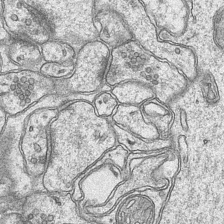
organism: Mouse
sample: CA1 Hippocampus